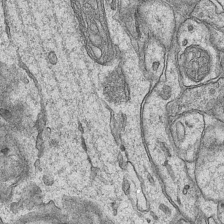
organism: Mouse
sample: CA1 Hippocampus